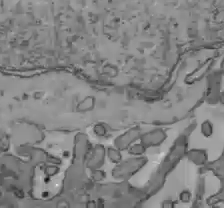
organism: C57BL Mouse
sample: Liver